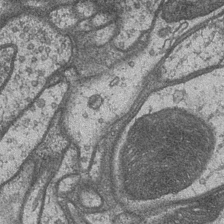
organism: Drosophila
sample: Optic medulla